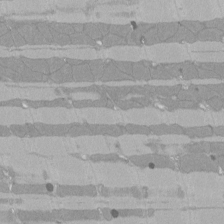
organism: Rat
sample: Left ventricle